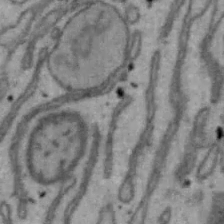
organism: Mouse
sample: Liver